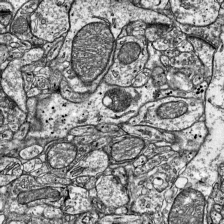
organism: Mouse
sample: Visual Cortex